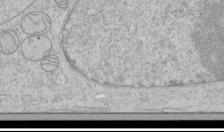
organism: Human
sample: Mitochondria in HCT116 cells